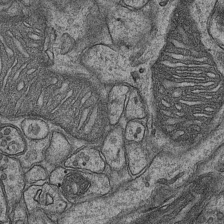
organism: Mouse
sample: CA1 Hippocampus